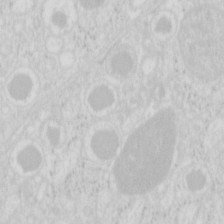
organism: Mouse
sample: Pancreas